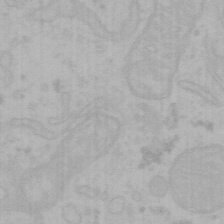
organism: Mouse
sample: Choroid plexus